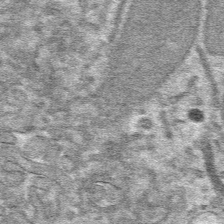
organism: Mouse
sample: Mouse hepatocytes